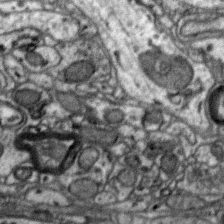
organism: Zebra finch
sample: Brain